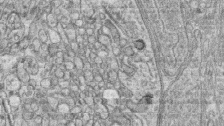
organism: Zebrafish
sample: synaptic ribbons in rod cells and cone cells